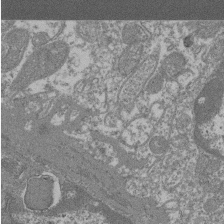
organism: Mouse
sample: Glomerulus